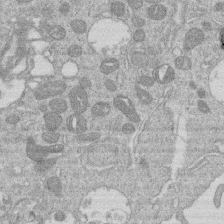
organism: Human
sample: Macrophage cells